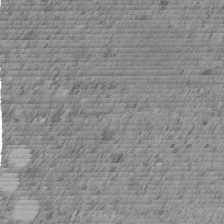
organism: C. elegans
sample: C. elegans embryo early stage